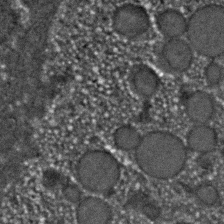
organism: C. elegans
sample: C. elegans embryo